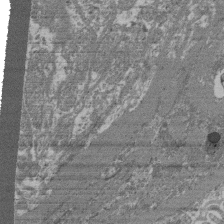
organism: Mouse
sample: Glomerulus